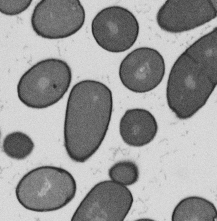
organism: B. subtilis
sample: Bacterial spore